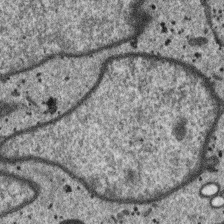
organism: Human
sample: Lung epithelial cells infected with SARS-CoV-2